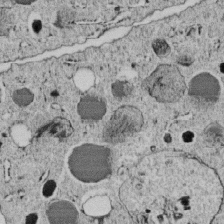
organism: C. elegans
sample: C. elegans embryo early stage